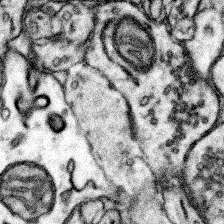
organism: Mouse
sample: Somatosensory cortex neuropil